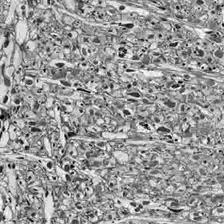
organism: Drosophila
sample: Optic lobe